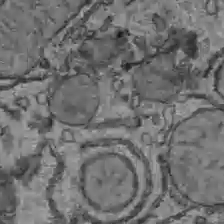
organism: C57BL Mouse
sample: Liver